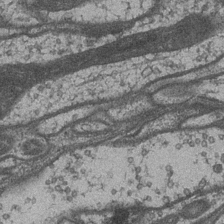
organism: Drosophila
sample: Optic medulla